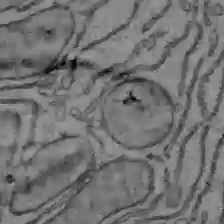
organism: C57BL Mouse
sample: Liver